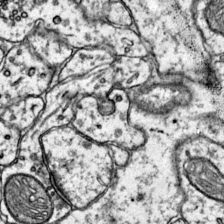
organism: Mouse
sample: Primary visual cortex